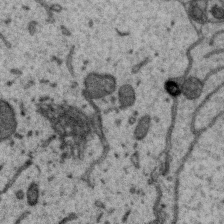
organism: Zebra finch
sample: Brain